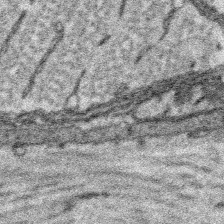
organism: Platynereis dumerilii